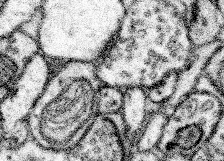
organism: Mouse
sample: Somatosensory cortex neuropil